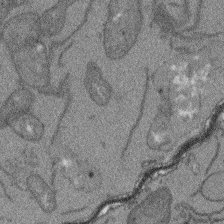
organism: Arabidopsis thaliana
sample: Root tip